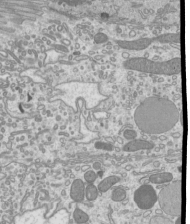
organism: Mouse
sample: Cilia; mouse epididymis